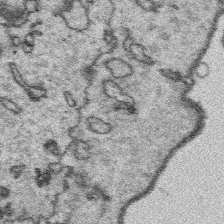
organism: Platynereis dumerilii